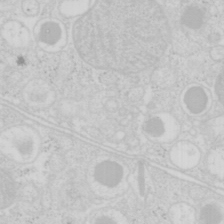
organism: Mouse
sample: Pancreas